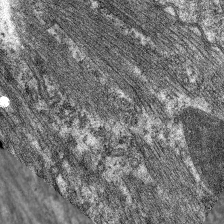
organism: C. elegans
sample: Pharynx